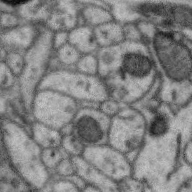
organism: Zebra finch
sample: Brain